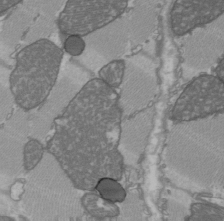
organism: C57BL Mouse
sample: Heart